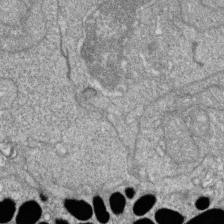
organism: Zebrafish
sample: Cilia; retinal pigment epithelium